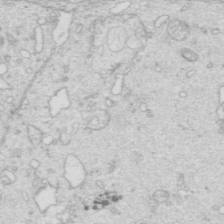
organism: Mouse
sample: Multiciliated cells